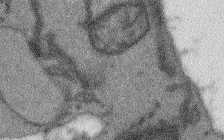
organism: Arabidopsis thaliana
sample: Root tip